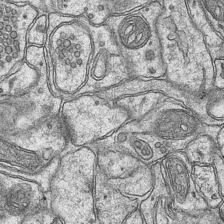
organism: Mouse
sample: CA1 Hippocampus